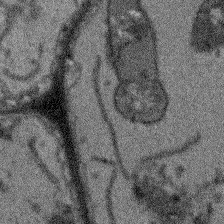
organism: Arabidopsis thaliana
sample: Root tip